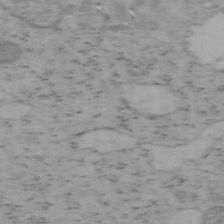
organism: Mouse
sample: OT-I killer T cells with ID8 ovarian cancer cells